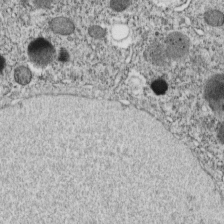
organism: C. elegans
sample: C. elegans embryo early stage